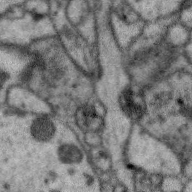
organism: Zebra finch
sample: Brain